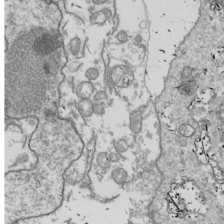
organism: Drosophila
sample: Cell division; meiosis; drosophila spermatocytes